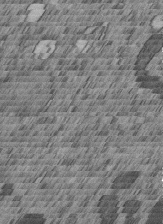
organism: C. elegans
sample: C. elegans embryo early stage